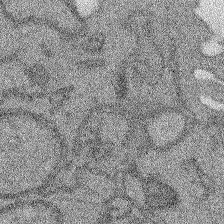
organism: Human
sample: HeLa cells